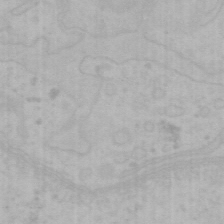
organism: Mouse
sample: Choroid plexus